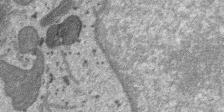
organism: Human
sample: Lung epithelial cells infected with SARS-CoV-2